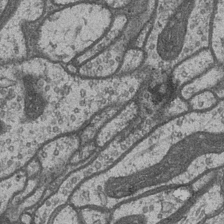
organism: Drosophila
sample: Optic medulla